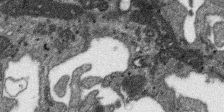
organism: Human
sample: Lung epithelial cells infected with SARS-CoV-2